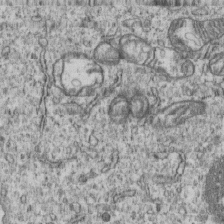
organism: Human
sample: MDA-MB-231 cells